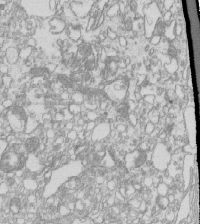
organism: Mouse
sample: Macrophages